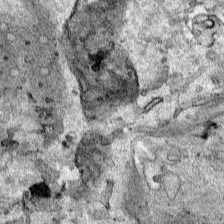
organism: Human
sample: Mitochondria in HCT116 cells